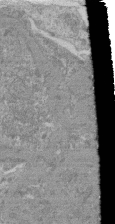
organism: Mouse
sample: Glomerulus